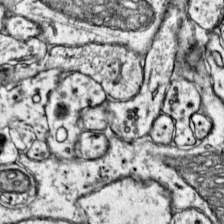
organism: Mouse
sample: Primary visual cortex